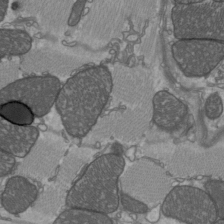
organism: C57BL Mouse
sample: Heart